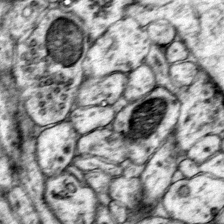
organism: Mouse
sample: Primary visual cortex